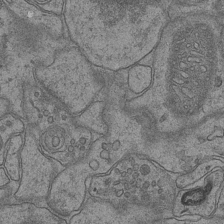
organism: Mouse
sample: CA1 Hippocampus